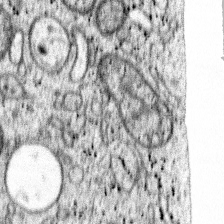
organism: Human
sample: HeLa cells